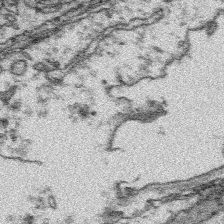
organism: Platynereis dumerilii